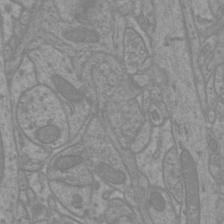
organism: Mouse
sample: Cortical neurons